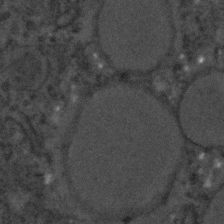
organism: C. elegans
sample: C. elegans embryo